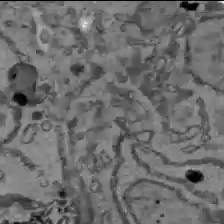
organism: C57BL Mouse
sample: Liver